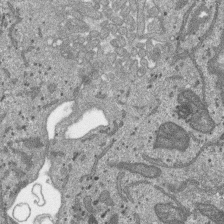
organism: Human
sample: Lung epithelial cells infected with SARS-CoV-2